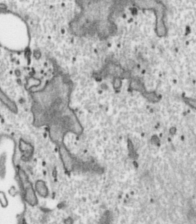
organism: Toxoplasma gondii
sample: Parasites in a vacuole inside a host cell